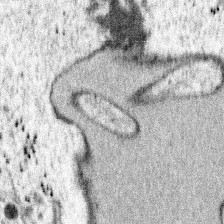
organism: Human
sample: HeLa cells